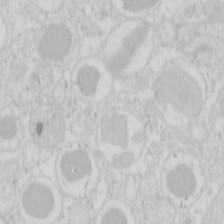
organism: Mouse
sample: Pancreas